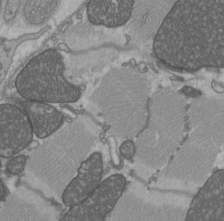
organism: C57BL Mouse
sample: Heart